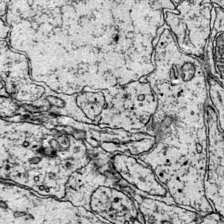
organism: Mouse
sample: Primary visual cortex